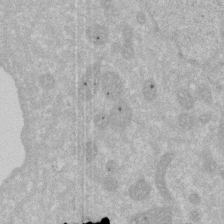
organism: Human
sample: HIV infected U937 cells